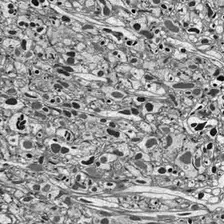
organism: Drosophila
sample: Optic lobe